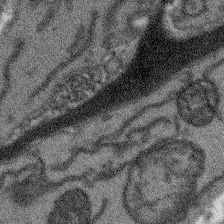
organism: Arabidopsis thaliana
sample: Root tip